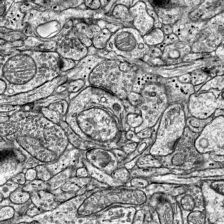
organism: Mouse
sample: Visual Cortex